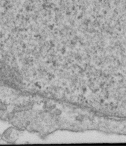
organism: Human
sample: Centriole in RPE cells